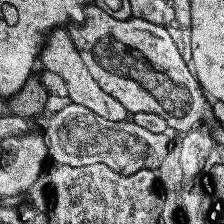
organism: Human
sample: Temporal Lobe